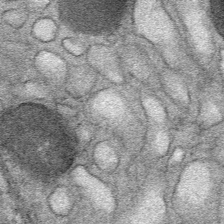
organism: Mouse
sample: Mouse Salivary gland